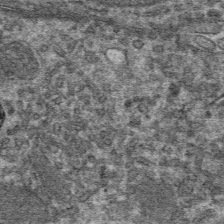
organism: Mouse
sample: Mouse hepatocytes